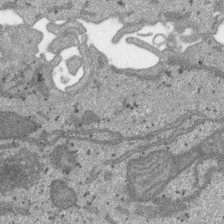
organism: Human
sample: Lung epithelial cells infected with SARS-CoV-2